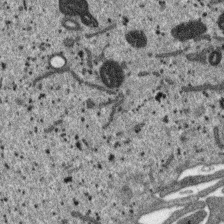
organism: Human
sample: Lung epithelial cells infected with SARS-CoV-2